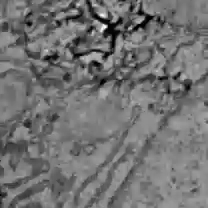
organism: C57BL Mouse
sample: Liver